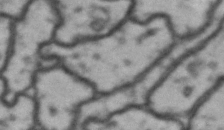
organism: Drosophila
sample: Brain